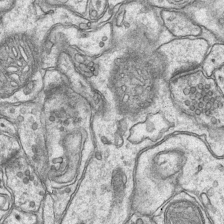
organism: Mouse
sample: CA1 Hippocampus